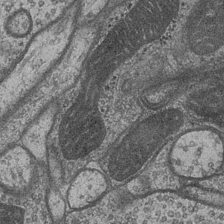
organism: Drosophila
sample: Optic medulla